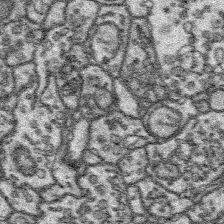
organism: Platynereis dumerilii